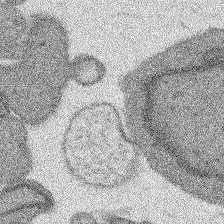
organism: Human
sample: HeLa cells